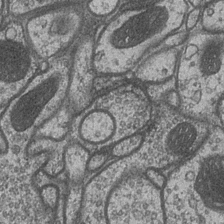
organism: Drosophila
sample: Optic medulla